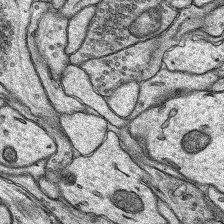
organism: Rat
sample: Hippocampus